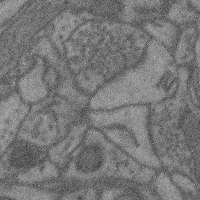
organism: Mouse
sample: Cerebral cortex